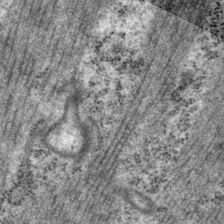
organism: P. pacificus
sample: Pharynx